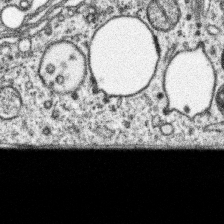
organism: Human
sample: HeLa cells